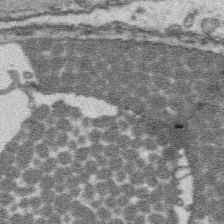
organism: Platynereis dumerilii